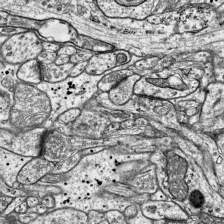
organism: Mouse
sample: Visual Cortex